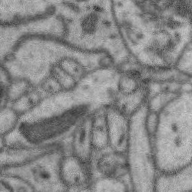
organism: Zebra finch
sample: Brain